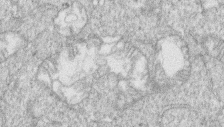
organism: Human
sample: HeLa cell HIV synapse